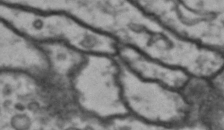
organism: Drosophila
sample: Brain